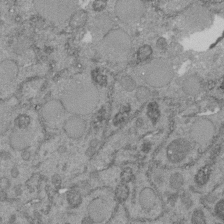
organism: C. elegans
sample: C. elegans embryo early stage